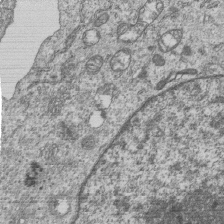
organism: Human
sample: MDA-MB-231 cells